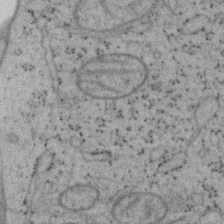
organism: Human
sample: HeLa cells